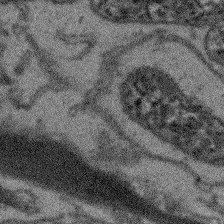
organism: Arabidopsis thaliana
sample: Root tip